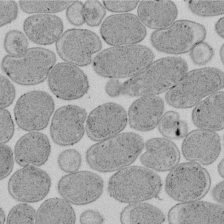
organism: E. coli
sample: Bacterial nucleoid